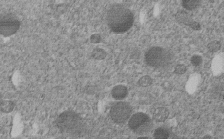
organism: C. elegans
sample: C. elegans embryo early stage